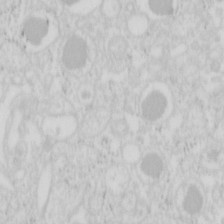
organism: Mouse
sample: Pancreas